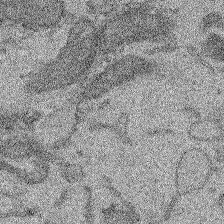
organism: Human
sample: HeLa cells